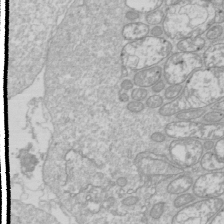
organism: Drosophila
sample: Cell division; meiosis; drosophila spermatocytes